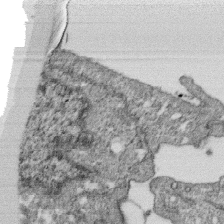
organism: African green monkey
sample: Vero E6 cells infected with SARS-CoV-2